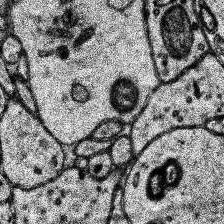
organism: Human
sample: Temporal Lobe